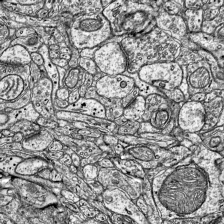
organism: Mouse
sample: Visual Cortex